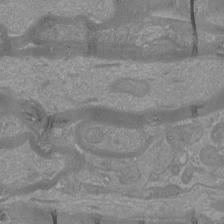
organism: Mouse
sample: Cortical neurons